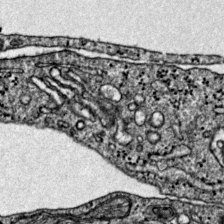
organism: Mouse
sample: Primary visual cortex